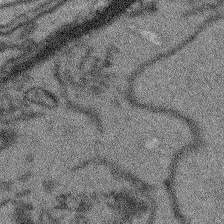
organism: Arabidopsis thaliana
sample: Root tip